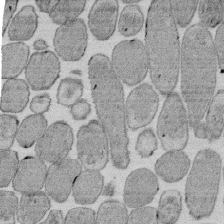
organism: E. coli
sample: Bacterial nucleoid